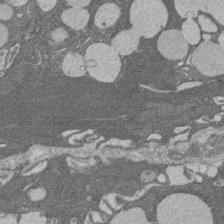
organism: Rat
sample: Salivary granule